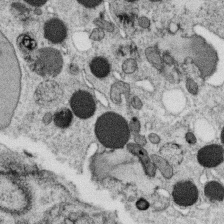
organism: C. elegans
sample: C. elegans oocyte; sperm cells